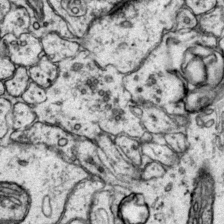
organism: Mouse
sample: Primary visual cortex